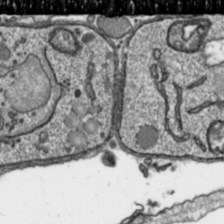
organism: Toxoplasma gondii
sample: Parasites in a vacuole inside a host cell